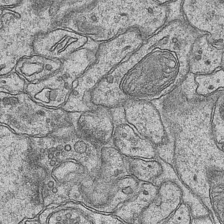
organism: Mouse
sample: CA1 Hippocampus